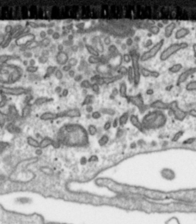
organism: Toxoplasma gondii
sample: Parasites in a vacuole inside a host cell